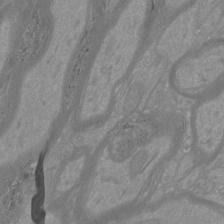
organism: Mouse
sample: Cortical neurons